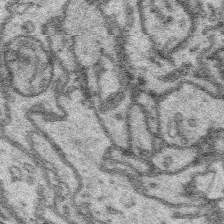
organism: Platynereis dumerilii